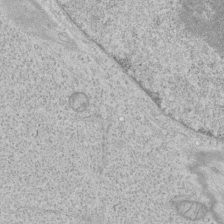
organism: Human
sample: Mitochondria in HCT116 cells